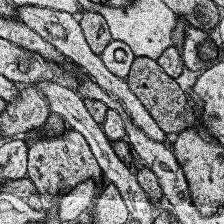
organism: Human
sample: Temporal Lobe